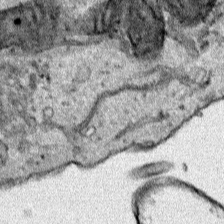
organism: Human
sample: Mitochondria in HCT116 cells